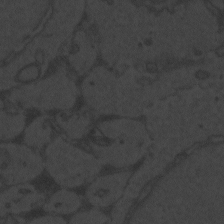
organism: Zebrafish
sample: Macrophage infected with Toxoplasma gondii